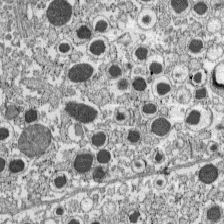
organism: C57BL Mouse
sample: Pancreatic islet